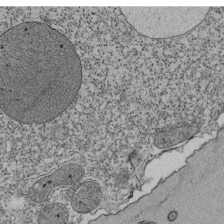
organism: Tetrahymena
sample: Cilia in tetrahymena